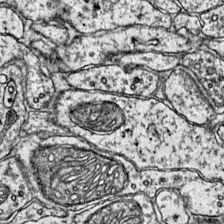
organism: Mouse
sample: Primary visual cortex